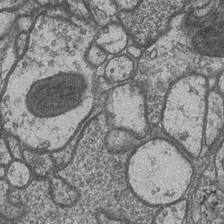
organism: Drosophila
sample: Optic medulla